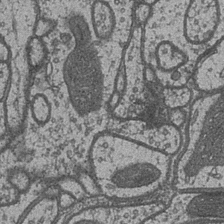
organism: Drosophila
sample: Optic medulla